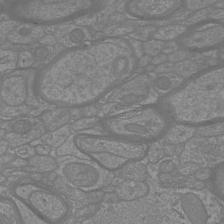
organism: Mouse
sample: Cortical neurons